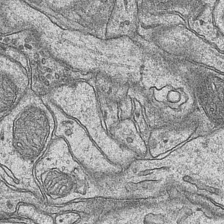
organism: Mouse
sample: CA1 Hippocampus